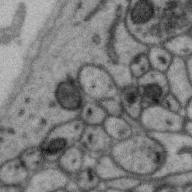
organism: Zebra finch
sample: Brain